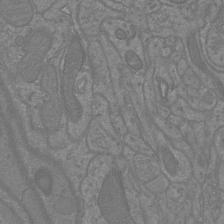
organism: Mouse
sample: Cortical neurons